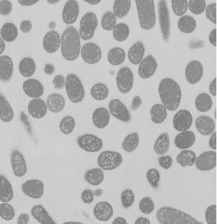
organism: E. coli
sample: Bacterial nucleoid